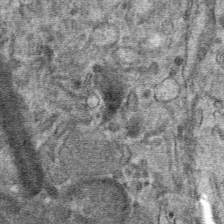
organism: Mouse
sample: Mouse hepatocytes